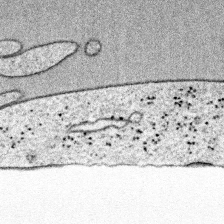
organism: Human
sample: HeLa cells